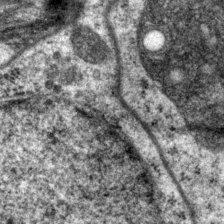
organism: P. pacificus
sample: Pharynx